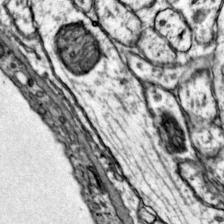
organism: Mouse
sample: Primary visual cortex